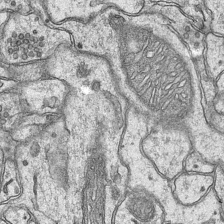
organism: Mouse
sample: CA1 Hippocampus